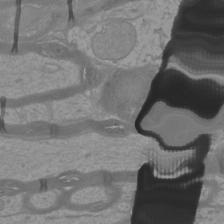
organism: Mouse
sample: Cortical neurons